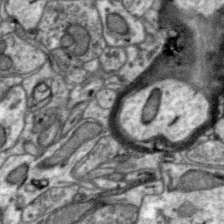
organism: Zebra finch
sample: Brain